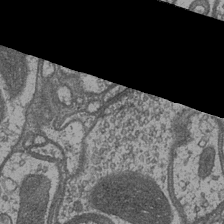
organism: Drosophila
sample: Optic medulla